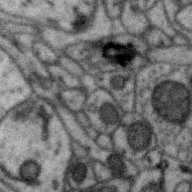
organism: Zebra finch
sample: Brain